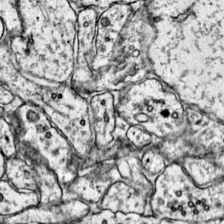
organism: Mouse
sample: Primary visual cortex